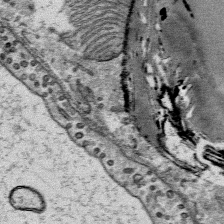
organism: Mouse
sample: Mouse Salivary gland